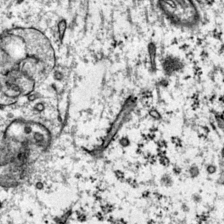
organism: Mouse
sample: Primary visual cortex